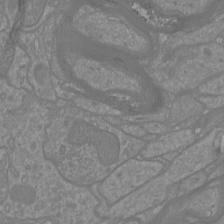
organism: Mouse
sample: Cortical neurons